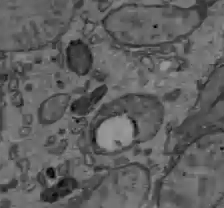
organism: C57BL Mouse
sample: Liver